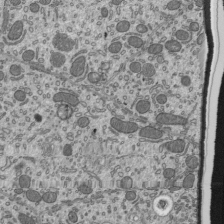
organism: Mouse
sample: Mouse epididymis efferent ductule cilia